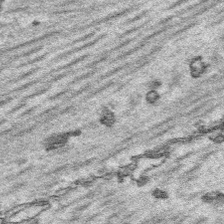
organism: Platynereis dumerilii